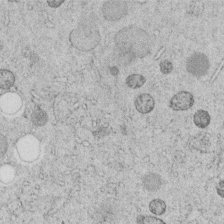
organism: C. elegans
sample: C. elegans embryo early stage